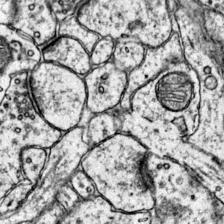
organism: Mouse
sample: Primary visual cortex